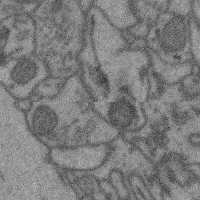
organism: Mouse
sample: Cerebral cortex